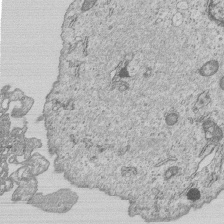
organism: Human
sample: MDA-MB-231 cells